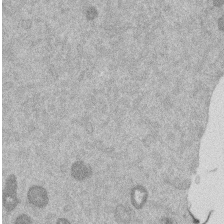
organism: Mouse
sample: Dividing mouse embryo 1 cell stage